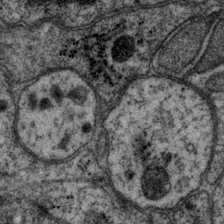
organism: P. pacificus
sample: Pharynx